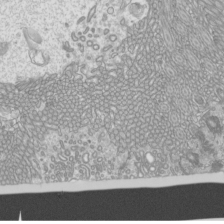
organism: Mouse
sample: Cilia; mouse epididymis